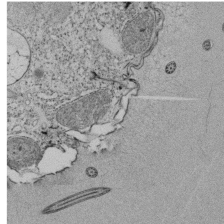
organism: Tetrahymena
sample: Cilia in tetrahymena